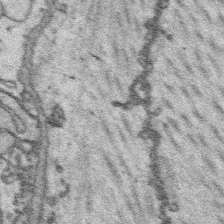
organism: Platynereis dumerilii